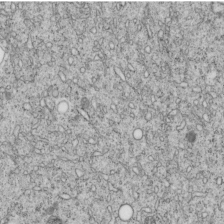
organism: C. elegans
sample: C. elegans embryo early stage